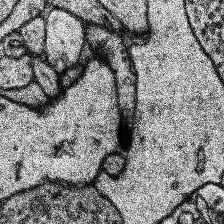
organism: Human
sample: Temporal Lobe